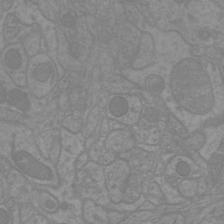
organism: Mouse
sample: Cortical neurons